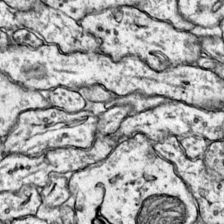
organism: Mouse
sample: Primary visual cortex